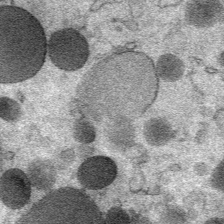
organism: Mouse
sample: Mouse Salivary gland